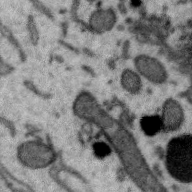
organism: Zebra finch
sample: Brain